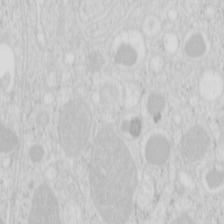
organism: Mouse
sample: Pancreas